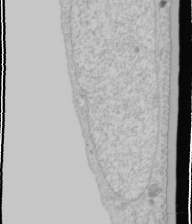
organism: Human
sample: Mitochondria in U2OS cells